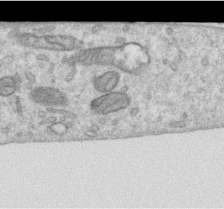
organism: Human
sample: Centriole in RPE cells